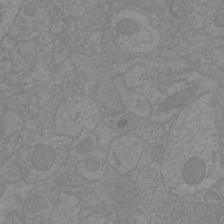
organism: Mouse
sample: Cortical neurons